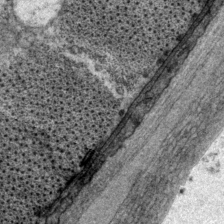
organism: P. pacificus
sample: Pharynx